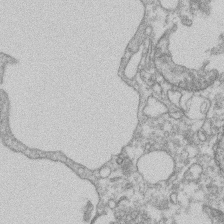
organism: Mouse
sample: T cell stromal cell synapse